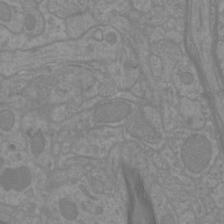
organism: Mouse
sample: Cortical neurons